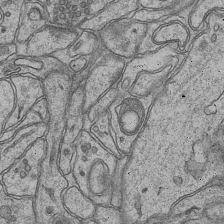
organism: Mouse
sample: CA1 Hippocampus